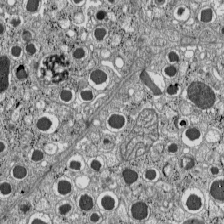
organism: C57BL Mouse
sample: Pancreatic islet